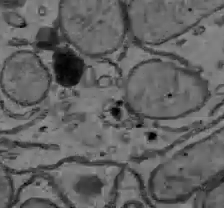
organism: C57BL Mouse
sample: Liver